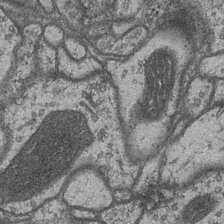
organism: Drosophila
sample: Optic medulla